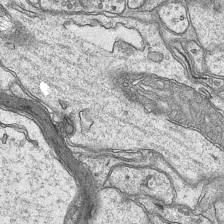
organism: Mouse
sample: CA1 Hippocampus